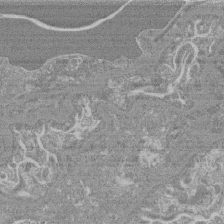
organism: Mouse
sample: Glomerulus